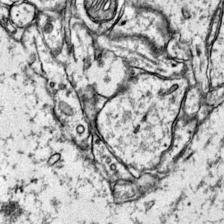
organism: Mouse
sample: Primary visual cortex